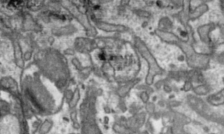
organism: Toxoplasma gondii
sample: Parasites in a vacuole inside a host cell